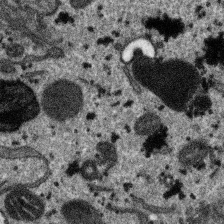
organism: Human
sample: Lung epithelial cells infected with SARS-CoV-2